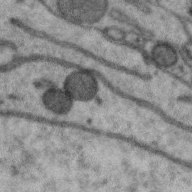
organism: Zebra finch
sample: Brain